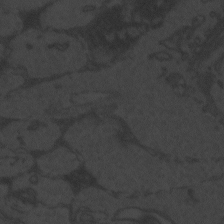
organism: Zebrafish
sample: Macrophage infected with Toxoplasma gondii